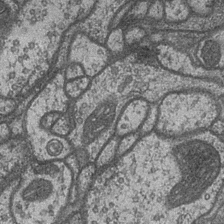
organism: Drosophila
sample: Optic medulla